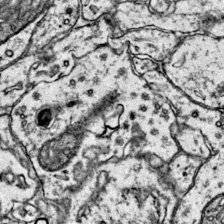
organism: Mouse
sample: Primary visual cortex